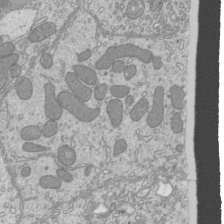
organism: Mouse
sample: Cilia; mouse epididymis